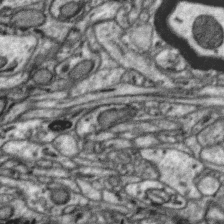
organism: Zebra finch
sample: Brain